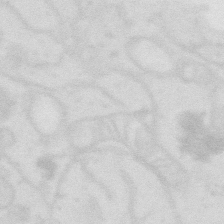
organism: Human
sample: HeLa cells